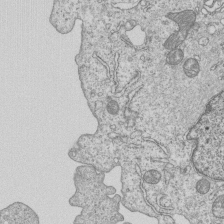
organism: Human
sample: MDA-MB-231 cells